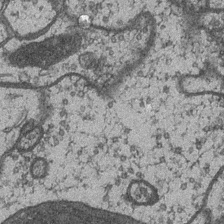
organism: Drosophila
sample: Optic medulla